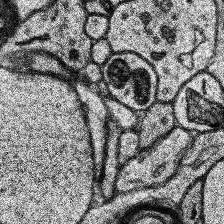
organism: Human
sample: Temporal Lobe